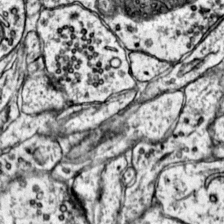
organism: Mouse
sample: Primary visual cortex